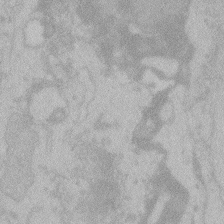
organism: Zebrafish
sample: Macrophage infected with Toxoplasma gondii